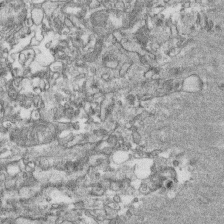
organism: Human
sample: CRL-1474